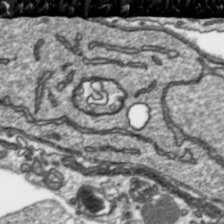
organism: Toxoplasma gondii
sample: Parasites in a vacuole inside a host cell